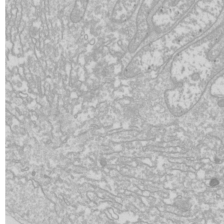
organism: Drosophila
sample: Cell division; meiosis; drosophila spermatocytes